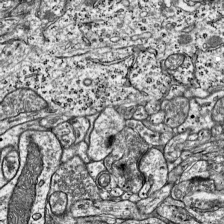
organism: Mouse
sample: Visual Cortex